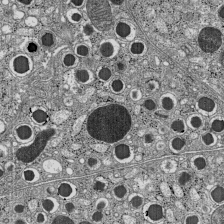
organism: C57BL Mouse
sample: Pancreatic islet